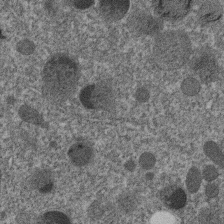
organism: C. elegans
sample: C. elegans embryo early stage